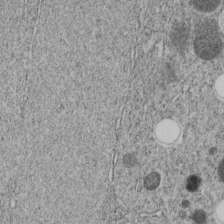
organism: C. elegans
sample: C. elegans embryo early stage